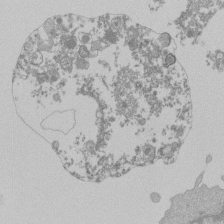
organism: Mouse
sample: Activated Pmel transgenic CD8+ T Cells